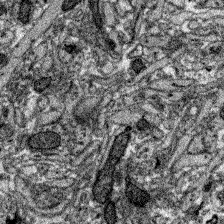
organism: Zebrafish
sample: Larval olfactory bulb